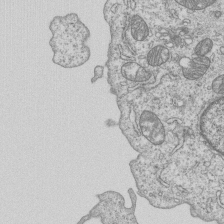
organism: Human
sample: MDA-MB-231 cells